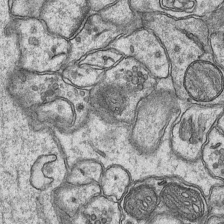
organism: Mouse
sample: CA1 Hippocampus